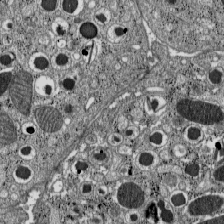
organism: C57BL Mouse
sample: Pancreatic islet